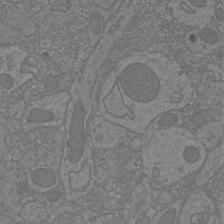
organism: Mouse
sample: Cortical neurons